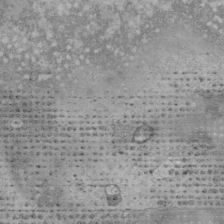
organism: Human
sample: Mitochondria in HCT116 cells